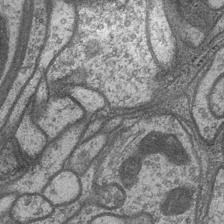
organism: Drosophila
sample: Optic medulla